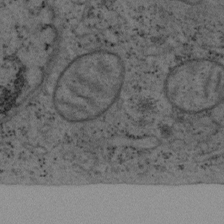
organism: Human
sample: HeLa cells